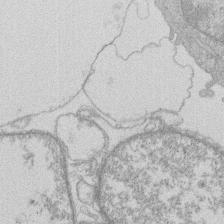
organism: Human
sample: Macrophage cells